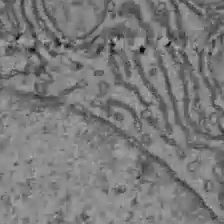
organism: C57BL Mouse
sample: Liver